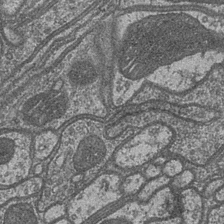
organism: Drosophila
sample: Optic medulla